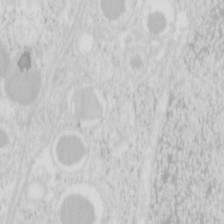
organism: Mouse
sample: Pancreas